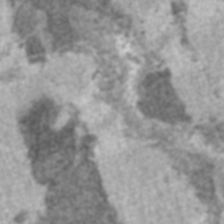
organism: C57BL Mouse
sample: Heart